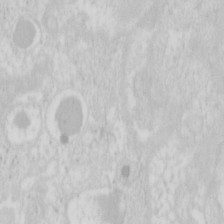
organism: Mouse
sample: Pancreas